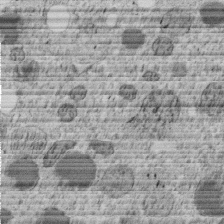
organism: C. elegans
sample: C. elegans embryo early stage